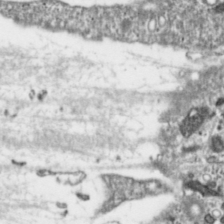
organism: Toxoplasma gondii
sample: Parasites in a vacuole inside a host cell